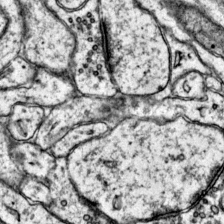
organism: Mouse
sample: Primary visual cortex